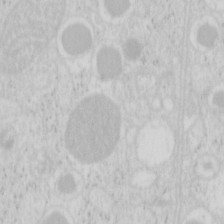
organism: Mouse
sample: Pancreas